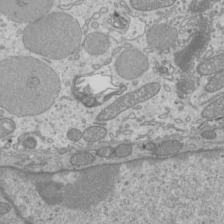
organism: Mouse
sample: Cilia; mouse epididymis